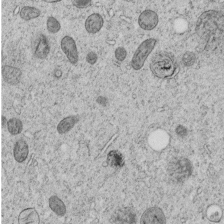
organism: C. elegans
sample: C. elegans embryo early stage